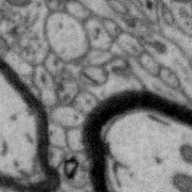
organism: Zebra finch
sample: Brain